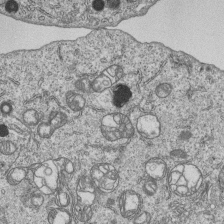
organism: Human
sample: MDA-MB-231 cells